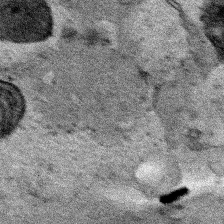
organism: Human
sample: Mitochondria in HCT116 cells